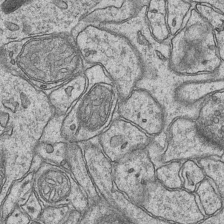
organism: Mouse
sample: CA1 Hippocampus